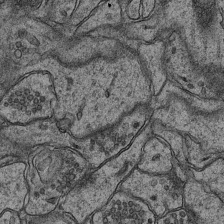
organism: Mouse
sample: CA1 Hippocampus